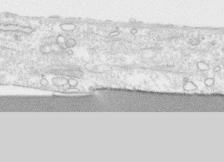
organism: Human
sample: CRL-1474